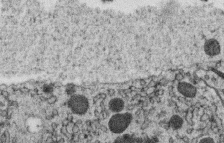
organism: C. elegans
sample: C. elegans oocyte; sperm cells